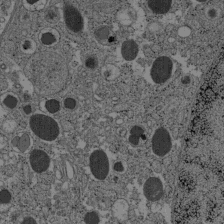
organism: C57BL Mouse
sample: Pancreatic islet